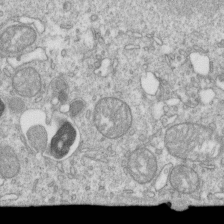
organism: Mouse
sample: Activated OT-1 CD8+ T cells